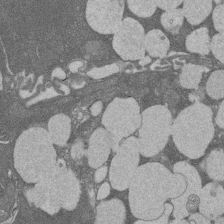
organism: Rat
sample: Salivary granule